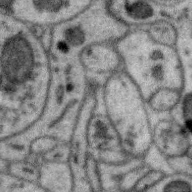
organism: Zebra finch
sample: Brain